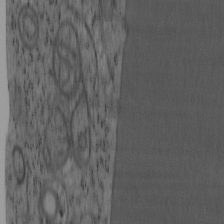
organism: Human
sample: HeLa cells